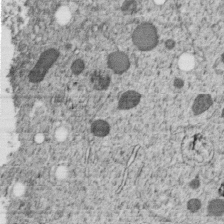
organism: C. elegans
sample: C. elegans embryo early stage